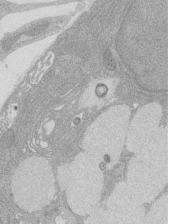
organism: Rat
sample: Salivary granule